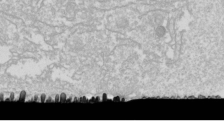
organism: Drosophila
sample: Cell division; meiosis; drosophila spermatocytes